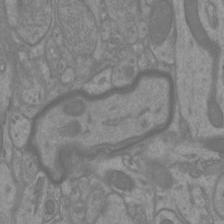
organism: Mouse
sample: Cortical neurons